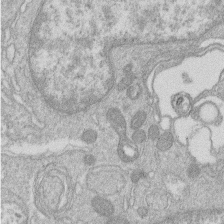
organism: Human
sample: Macrophage cells